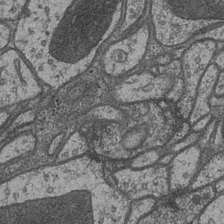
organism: Drosophila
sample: Optic medulla